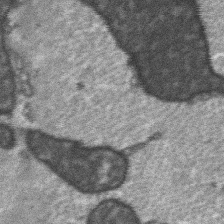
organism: C57BL Mouse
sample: Soleus